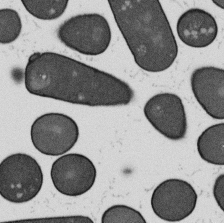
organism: B. subtilis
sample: Bacterial spore